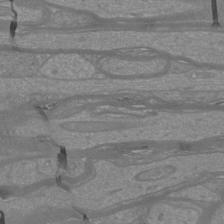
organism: Mouse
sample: Cortical neurons